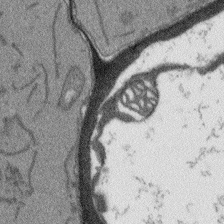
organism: Arabidopsis thaliana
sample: Root tip